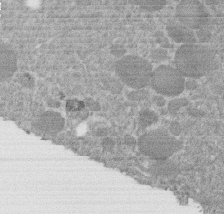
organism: C. elegans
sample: C. elegans embryo early stage